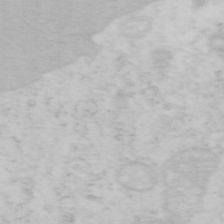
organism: Mouse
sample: OT-I killer T cells with ID8 ovarian cancer cells